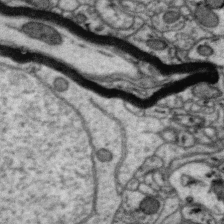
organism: Zebra finch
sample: Brain